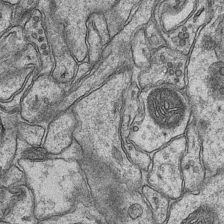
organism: Mouse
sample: CA1 Hippocampus